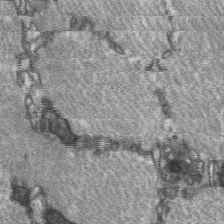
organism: C57BL Mouse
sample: Soleus